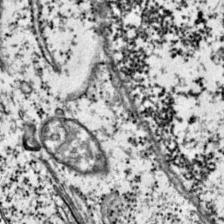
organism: Mouse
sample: Primary visual cortex